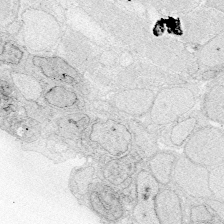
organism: Zebrafish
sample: Whole-Brain